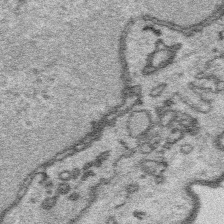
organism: Platynereis dumerilii